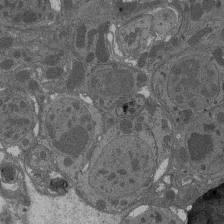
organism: Drosophila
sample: Antenna